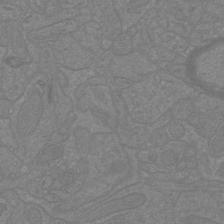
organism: Mouse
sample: Cortical neurons